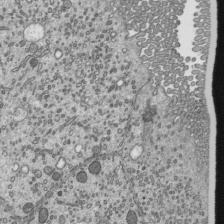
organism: Mouse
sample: Mouse epididymis efferent ductule cilia